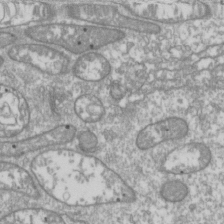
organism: Drosophila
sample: Cell division; meiosis; drosophila spermatocytes